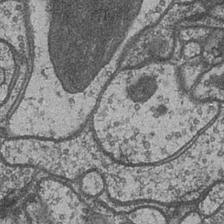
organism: Drosophila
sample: Optic medulla